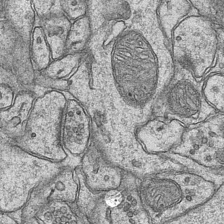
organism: Mouse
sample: CA1 Hippocampus